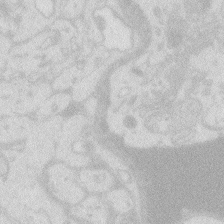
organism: Zebrafish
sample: Macrophage